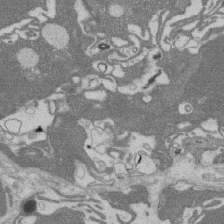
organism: Rat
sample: Salivary granule